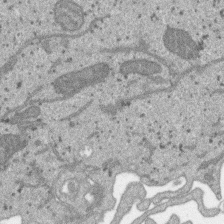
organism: Human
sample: Lung epithelial cells infected with SARS-CoV-2